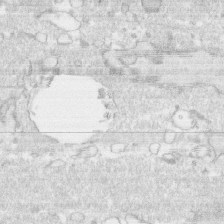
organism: Human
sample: CRL-1474